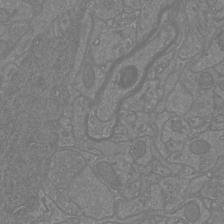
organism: Mouse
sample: Cortical neurons